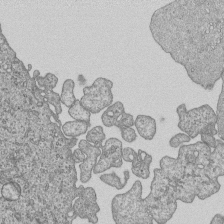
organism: Human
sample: MDA-MB-231 cells